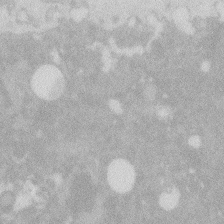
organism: Zebrafish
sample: Macrophage